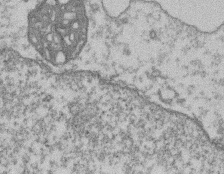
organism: Mouse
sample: T cell stromal cell synapse